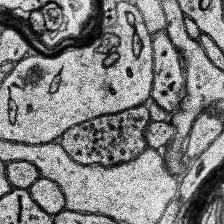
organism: Human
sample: Temporal Lobe